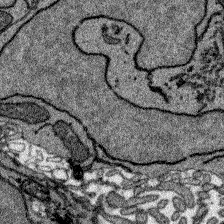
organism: Zebrafish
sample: Larval olfactory bulb